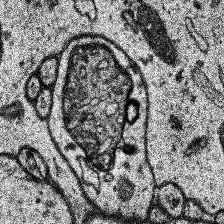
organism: Human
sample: Temporal Lobe